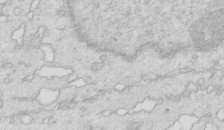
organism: Mouse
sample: Multiciliated cells